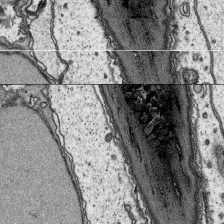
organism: Platynereis dumerilii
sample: Parapodia